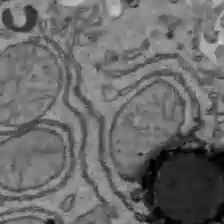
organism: C57BL Mouse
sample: Liver